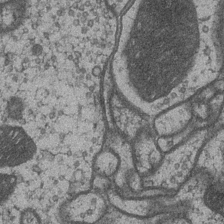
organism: Drosophila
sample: Optic medulla